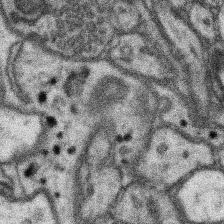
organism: Mouse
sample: Somatosensory cortex neuropil